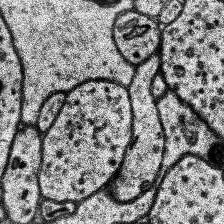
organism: Human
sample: Temporal Lobe